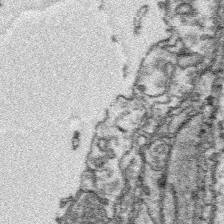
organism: Platynereis dumerilii